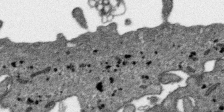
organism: Human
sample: Lung epithelial cells, uninfected (mock) control